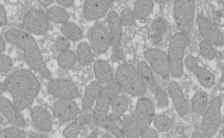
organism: Xenopus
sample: Cilia; centrioles in frog embryo cells